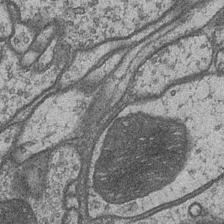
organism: Drosophila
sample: Optic medulla